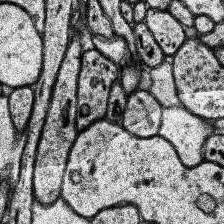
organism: Human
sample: Temporal Lobe